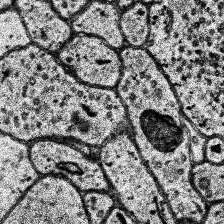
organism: Human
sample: Temporal Lobe